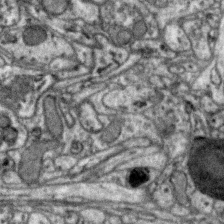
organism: Zebra finch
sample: Brain